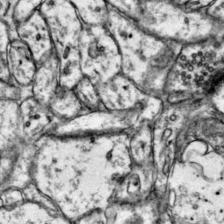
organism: Mouse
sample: Primary visual cortex